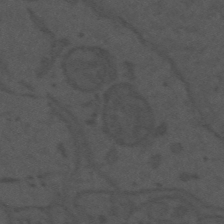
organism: Mouse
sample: Suprachiasmatic nucleus